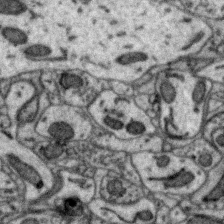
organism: Zebra finch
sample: Brain